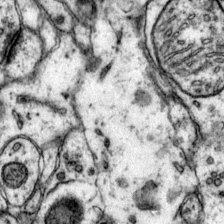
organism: Mouse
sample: Primary visual cortex